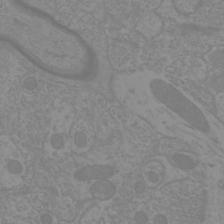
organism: Mouse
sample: Cortical neurons